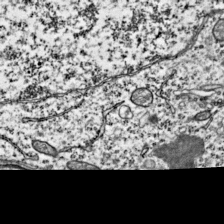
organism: Mouse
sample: Visual Cortex